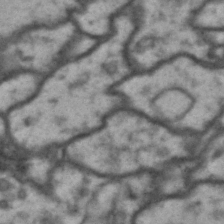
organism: Drosophila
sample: Brain